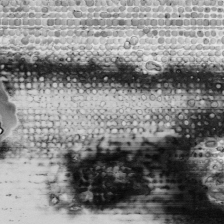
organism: Human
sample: Mitochondria in HCT116 cells